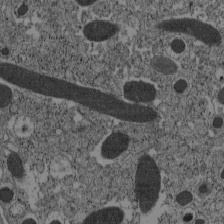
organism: C57BL Mouse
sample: Pancreatic islet